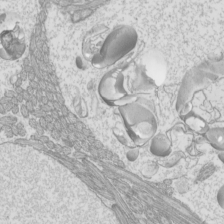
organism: Mouse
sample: Cilia; mouse epididymis